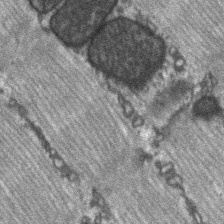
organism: C57BL Mouse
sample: Soleus